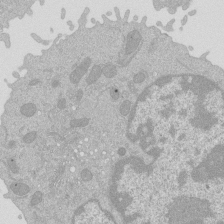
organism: Mouse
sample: Activated Pmel transgenic CD8+ T Cells